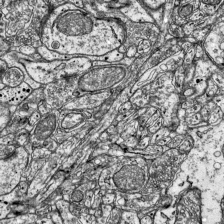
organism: Mouse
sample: Visual Cortex